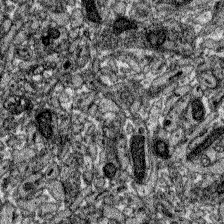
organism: Zebrafish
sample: Larval olfactory bulb